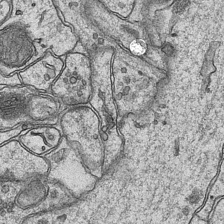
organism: Mouse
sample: CA1 Hippocampus